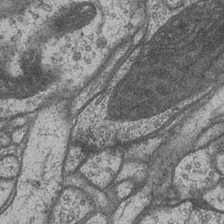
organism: Drosophila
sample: Optic medulla